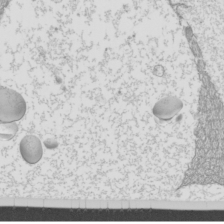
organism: Mouse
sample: Cilia; mouse epididymis